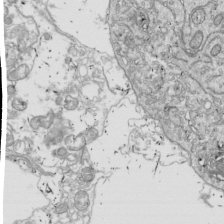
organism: Drosophila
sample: Cell division; meiosis; drosophila spermatocytes